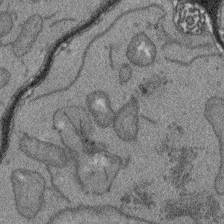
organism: Arabidopsis thaliana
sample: Root tip